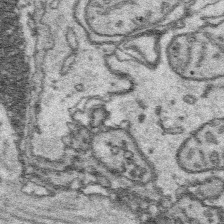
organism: Platynereis dumerilii